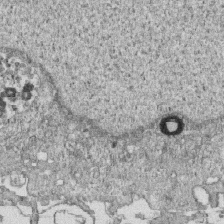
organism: Human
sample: HeLa cell HIV synapse